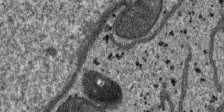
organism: Human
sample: Lung epithelial cells infected with SARS-CoV-2